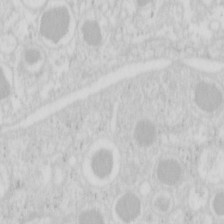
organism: Mouse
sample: Pancreas